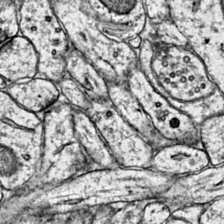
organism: Mouse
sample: Primary visual cortex